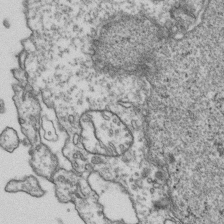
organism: Human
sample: Activated Jurkat CD4+ T cells